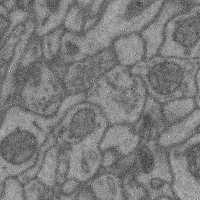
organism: Mouse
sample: Cerebral cortex